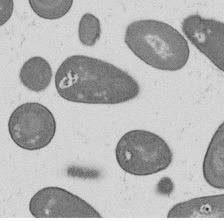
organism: B. subtilis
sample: Bacterial spore